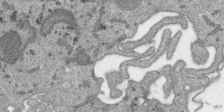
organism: Human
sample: Lung epithelial cells infected with SARS-CoV-2